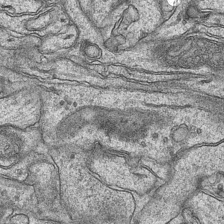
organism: Mouse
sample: CA1 Hippocampus